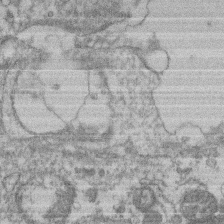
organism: Mouse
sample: T cell stromal cell synapse